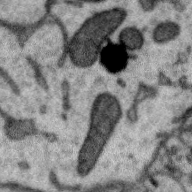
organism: Zebra finch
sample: Brain